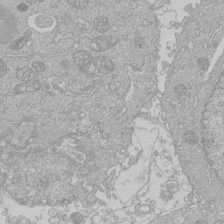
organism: Human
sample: Macrophage cells